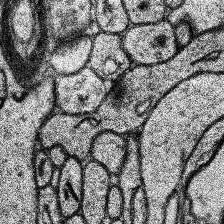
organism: Human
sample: Temporal Lobe